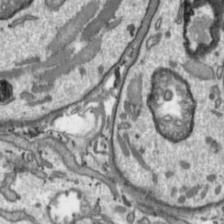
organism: Toxoplasma gondii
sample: Parasites in a vacuole inside a host cell